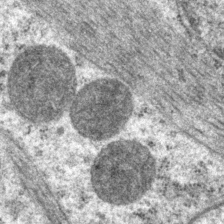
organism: P. pacificus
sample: Pharynx